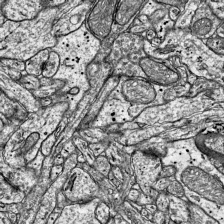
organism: Mouse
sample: Visual Cortex